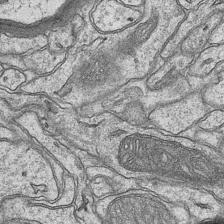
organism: Mouse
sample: CA1 Hippocampus